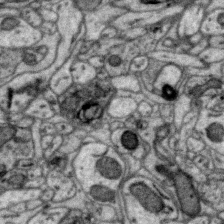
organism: Zebra finch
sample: Brain